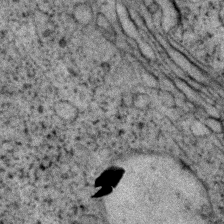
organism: Zebrafish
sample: Zebrafish embryo